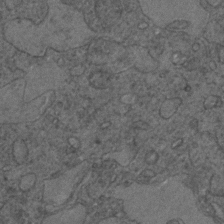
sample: Trachea